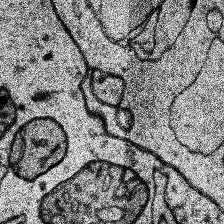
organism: Human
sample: Temporal Lobe